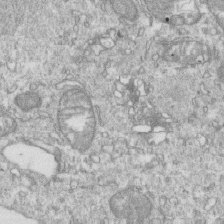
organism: Mouse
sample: Activated OT-1 CD8+ T cells